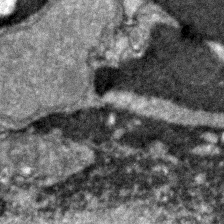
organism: Zebrafish